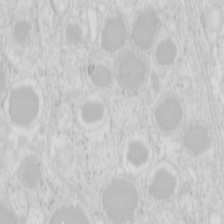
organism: Mouse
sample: Pancreas